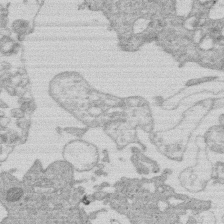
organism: Human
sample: Macrophage cells